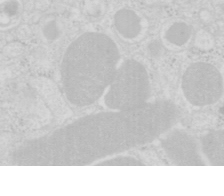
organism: Mouse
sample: Pancreas